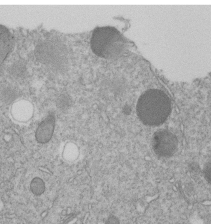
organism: C. elegans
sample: C. elegans embryo early stage